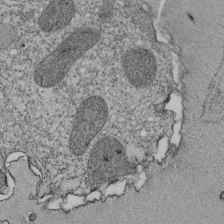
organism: Tetrahymena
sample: Cilia in tetrahymena